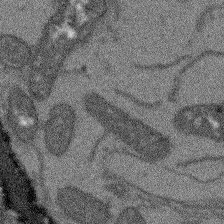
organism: Arabidopsis thaliana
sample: Root tip